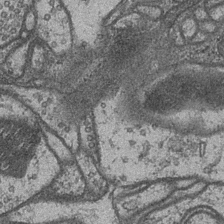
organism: Drosophila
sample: Optic medulla